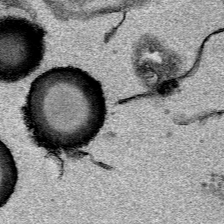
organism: Mouse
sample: Cancer cell death in ED-1 cells